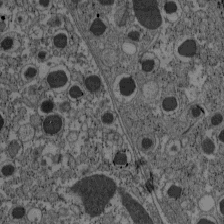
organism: C57BL Mouse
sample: Pancreatic islet